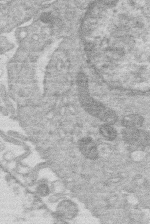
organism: Human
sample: Macrophage cells